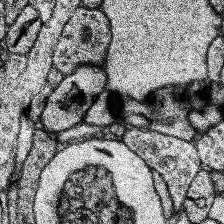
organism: Human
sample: Temporal Lobe